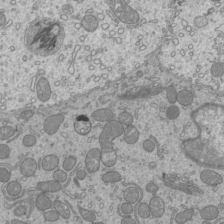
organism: Mouse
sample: Cilia; mouse epididymis